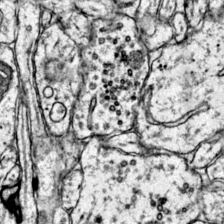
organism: Mouse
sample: Primary visual cortex